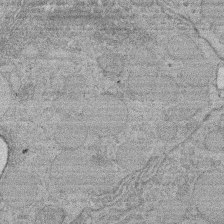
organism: Rat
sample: Salivary granule